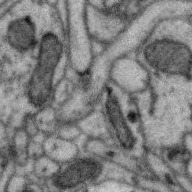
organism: Zebra finch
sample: Brain